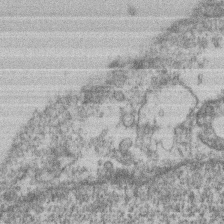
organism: Mouse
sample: T cell stromal cell synapse